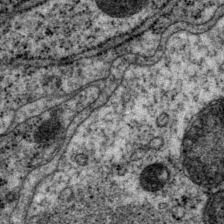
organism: P. pacificus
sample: Pharynx